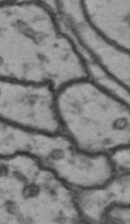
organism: Drosophila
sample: Brain